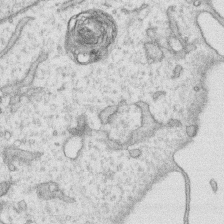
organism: Human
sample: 1205lu cells